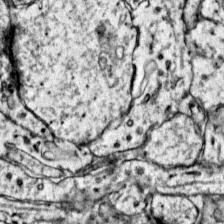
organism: Mouse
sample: Primary visual cortex